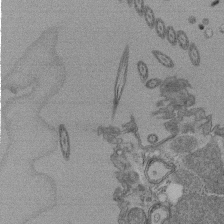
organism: Tetrahymena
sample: Cilia in tetrahymena